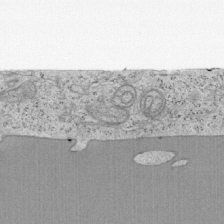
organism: Human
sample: HeLa cells